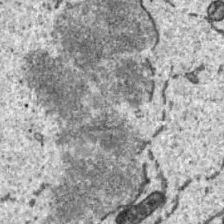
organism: Human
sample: HeLa cells